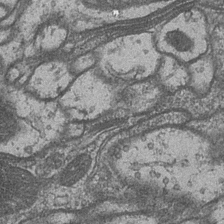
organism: Drosophila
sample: Optic medulla